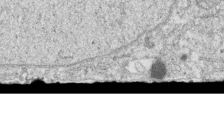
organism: Human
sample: HeLa cell HIV synapse